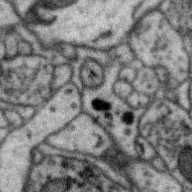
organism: Zebra finch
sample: Brain